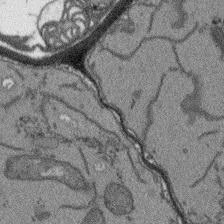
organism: Arabidopsis thaliana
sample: Root tip